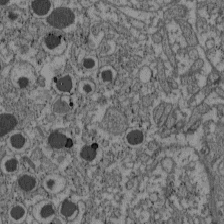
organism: C57BL Mouse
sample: Pancreatic islet